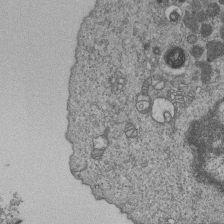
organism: Human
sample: MDA-MB-231 cells